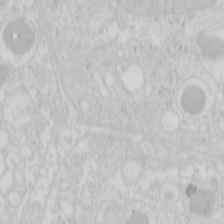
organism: Mouse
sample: Pancreas